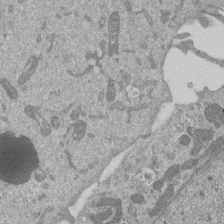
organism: Mouse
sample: ED-1 cell nuclei; centrioles